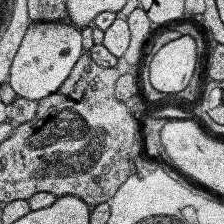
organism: Human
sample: Temporal Lobe